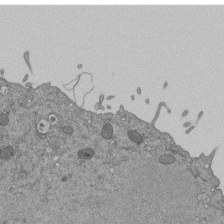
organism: Mouse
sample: ED-1 cell nuclei; centrioles